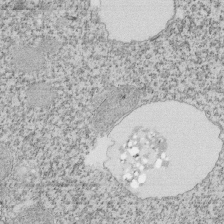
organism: Tetrahymena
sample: Cilia in tetrahymena